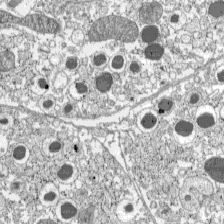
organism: C57BL Mouse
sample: Pancreatic islet